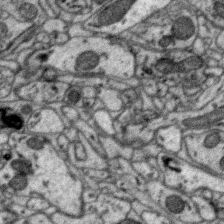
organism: Zebra finch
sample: Brain